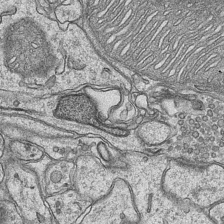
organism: Mouse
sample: CA1 Hippocampus